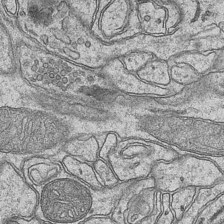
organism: Mouse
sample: CA1 Hippocampus